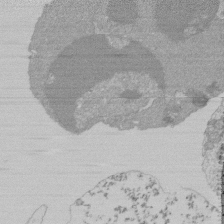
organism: Mouse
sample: Activated Pmel transgenic CD8+ T Cells